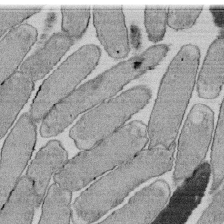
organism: E. coli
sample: Bacterial nucleoid